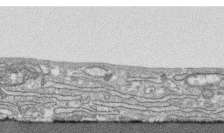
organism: Human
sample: CRL-1474